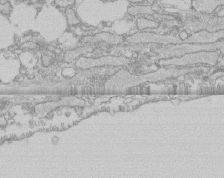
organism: Human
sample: CRL-1474